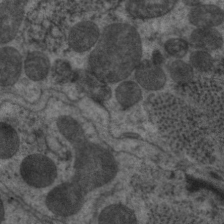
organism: C. elegans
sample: Pharynx